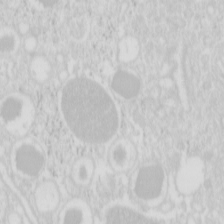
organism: Mouse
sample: Pancreas